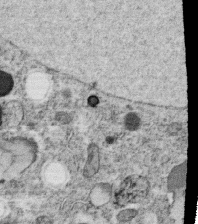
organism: C. elegans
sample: C. elegans oocyte; sperm cells